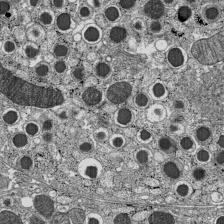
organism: C57BL Mouse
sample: Pancreatic islet